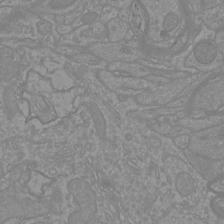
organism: Mouse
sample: Cortical neurons